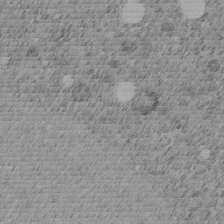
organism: C. elegans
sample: C. elegans embryo early stage